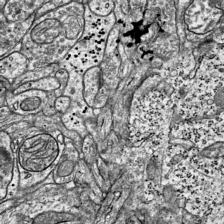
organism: Mouse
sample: Visual Cortex